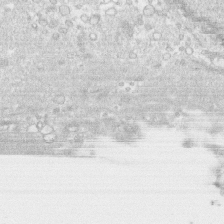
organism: Human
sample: CRL-1474